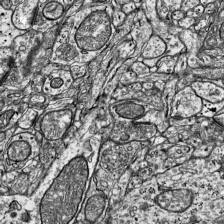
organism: Mouse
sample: Visual Cortex